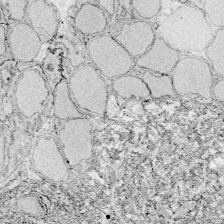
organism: Zebrafish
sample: Whole-Brain